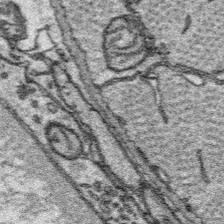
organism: Platynereis dumerilii